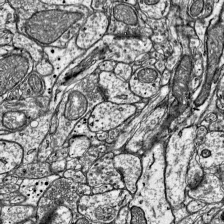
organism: Mouse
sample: Visual Cortex